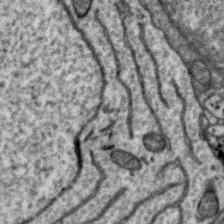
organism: Zebra finch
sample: Brain